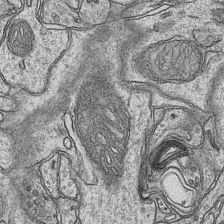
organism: Mouse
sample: CA1 Hippocampus